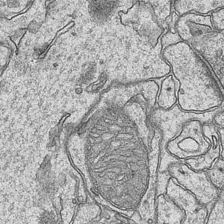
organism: Mouse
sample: CA1 Hippocampus